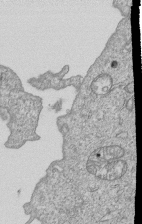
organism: Human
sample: MDA-MB-231 cells